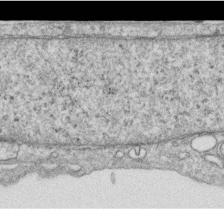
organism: Human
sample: Centriole in RPE cells